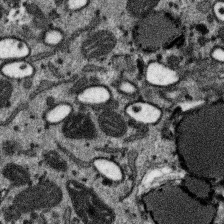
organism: Human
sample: Lung epithelial cells infected with SARS-CoV-2